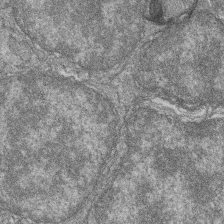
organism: Zebrafish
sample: Cilia; retinal pigment epithelium